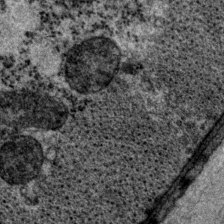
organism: P. pacificus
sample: Pharynx